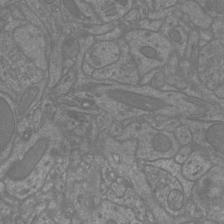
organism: Mouse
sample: Cortical neurons